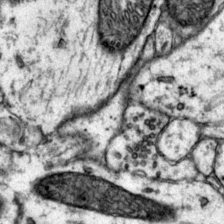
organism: Mouse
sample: Primary visual cortex